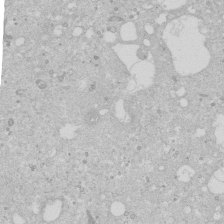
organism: Human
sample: Caco-2 cells